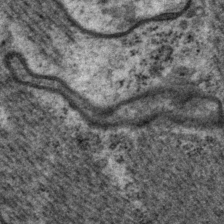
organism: P. pacificus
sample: Pharynx